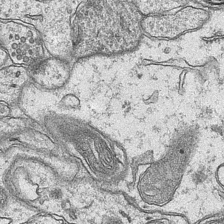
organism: Mouse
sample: CA1 Hippocampus